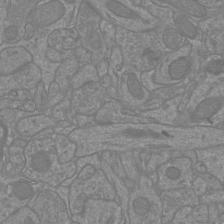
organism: Mouse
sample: Cortical neurons